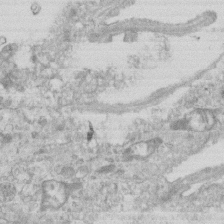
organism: Mouse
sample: Centriole in ependymal cells